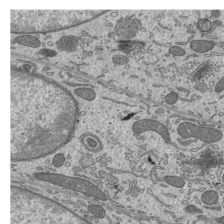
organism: Mouse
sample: Mouse epididymis efferent ductule cilia